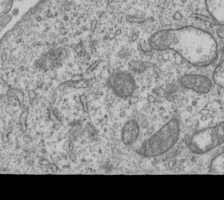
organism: Human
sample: MDA-MB-231 cells